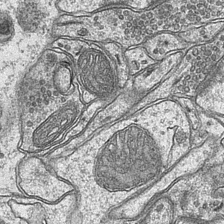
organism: Mouse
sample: CA1 Hippocampus